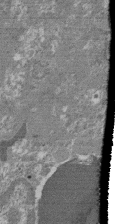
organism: Mouse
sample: Glomerulus